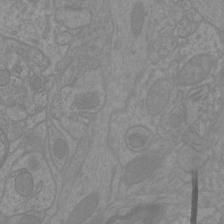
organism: Mouse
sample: Cortical neurons